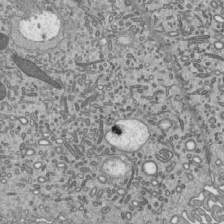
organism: Mouse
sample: Mouse epididymis efferent ductule cilia